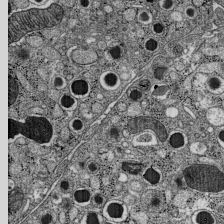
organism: C57BL Mouse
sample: Pancreatic islet